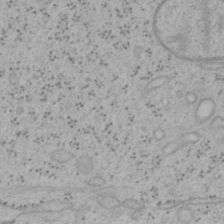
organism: Human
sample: HeLa cells